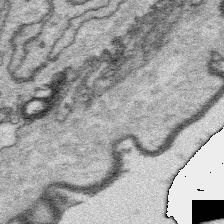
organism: Platynereis dumerilii